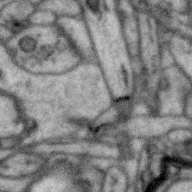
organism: Zebra finch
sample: Brain